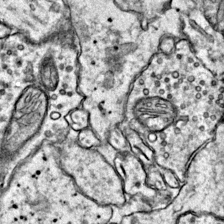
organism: Mouse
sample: Primary visual cortex